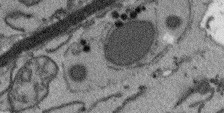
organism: Arabidopsis thaliana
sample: Root tip